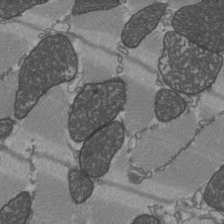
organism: C57BL Mouse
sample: Heart